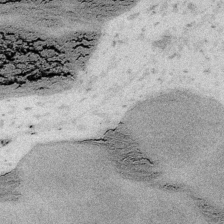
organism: Embia sp.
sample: Silk gland